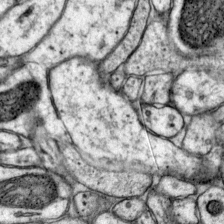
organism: Mouse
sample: Primary visual cortex